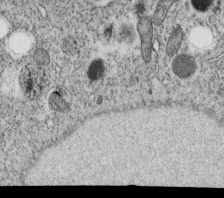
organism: C. elegans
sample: C. elegans oocyte; sperm cells